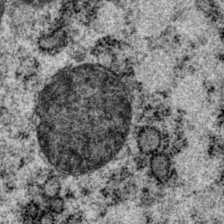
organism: P. pacificus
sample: Pharynx